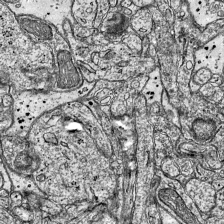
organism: Mouse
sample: Visual Cortex